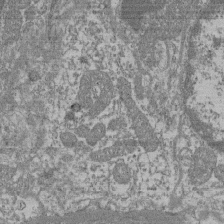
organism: Mouse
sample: Glomerulus